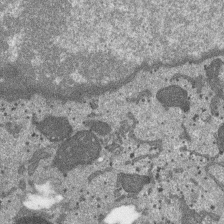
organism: Human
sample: Lung epithelial cells infected with SARS-CoV-2